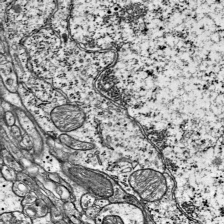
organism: Mouse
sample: Visual Cortex